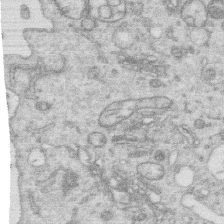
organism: Human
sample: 1205lu cells